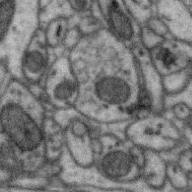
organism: Zebra finch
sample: Brain